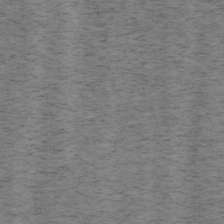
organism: Mouse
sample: OT-I killer T cells with ID8 ovarian cancer cells